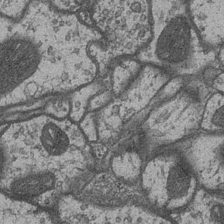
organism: Drosophila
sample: Optic medulla